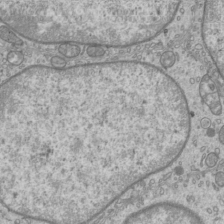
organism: Mouse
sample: Cilia; mouse epididymis